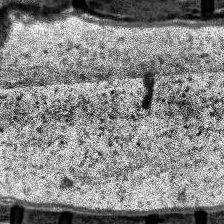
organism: Human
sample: Temporal Lobe